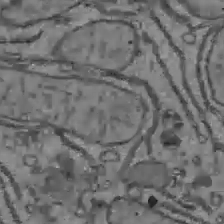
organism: C57BL Mouse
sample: Liver